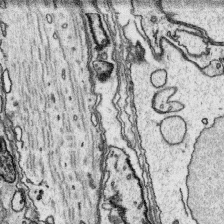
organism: Platynereis dumerilii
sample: Parapodia